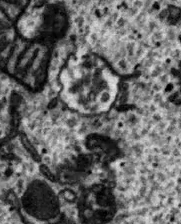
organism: Human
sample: HeLa cells